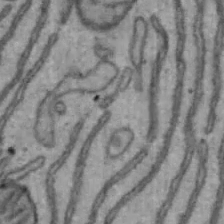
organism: Mouse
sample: Liver